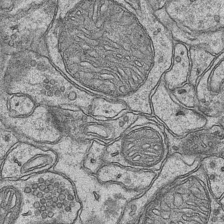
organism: Mouse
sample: CA1 Hippocampus